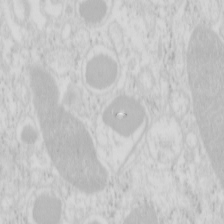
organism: Mouse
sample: Pancreas